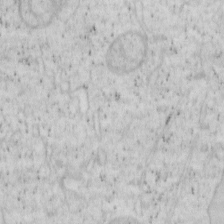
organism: Human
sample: HeLa cells